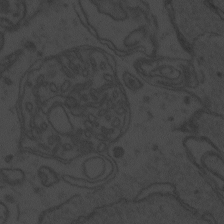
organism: Zebrafish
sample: Macrophage infected with Toxoplasma gondii